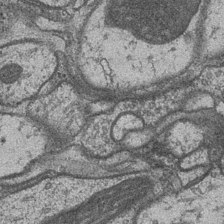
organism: Drosophila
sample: Optic medulla